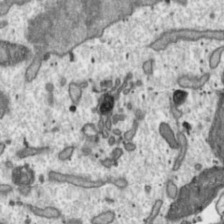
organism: Toxoplasma gondii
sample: Parasites in a vacuole inside a host cell